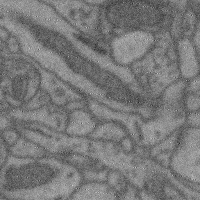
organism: Mouse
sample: Cerebral cortex